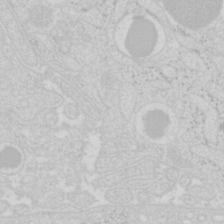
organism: Mouse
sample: Pancreas